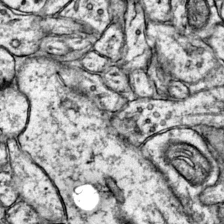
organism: Mouse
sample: Primary visual cortex